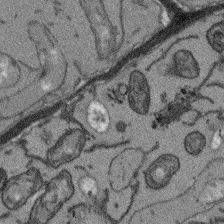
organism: Arabidopsis thaliana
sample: Root tip